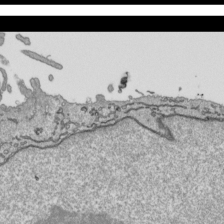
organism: Human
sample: Mitochondria in HCT116 cells